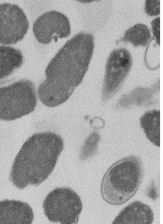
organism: E. coli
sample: Bacterial nucleoid